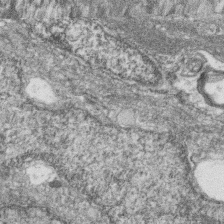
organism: Zebrafish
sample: Cilia; retinal pigment epithelium